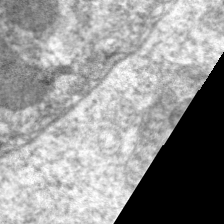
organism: C. elegans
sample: Pharynx